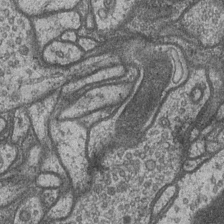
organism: Drosophila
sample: Optic medulla